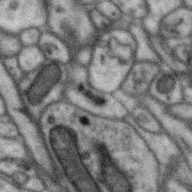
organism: Zebra finch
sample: Brain